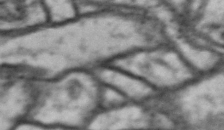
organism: Drosophila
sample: Brain